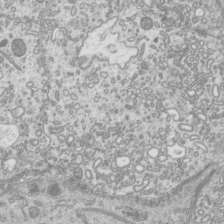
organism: Mouse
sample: Cilia; mouse epididymis